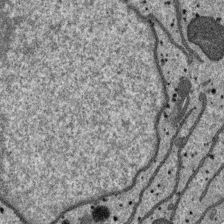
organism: Human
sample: Lung epithelial cells, uninfected (mock) control